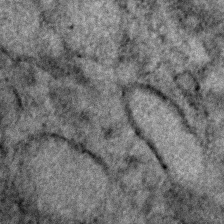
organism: Human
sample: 1205lu cells